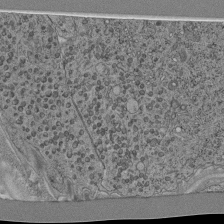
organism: C. elegans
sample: C. elegans pharynx